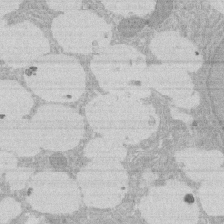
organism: Rat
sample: Salivary granule